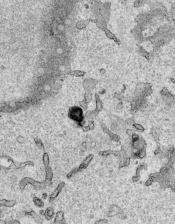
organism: Human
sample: Mitochondria in HCT116 cells